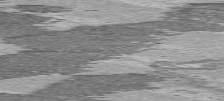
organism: C57BL Mouse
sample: Heart